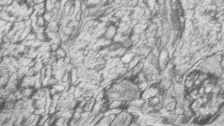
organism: Zebrafish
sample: synaptic ribbons in rod cells and cone cells